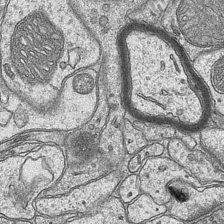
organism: Mouse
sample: CA1 Hippocampus